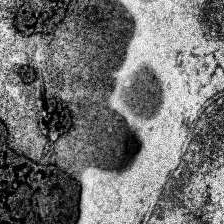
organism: Human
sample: Temporal Lobe